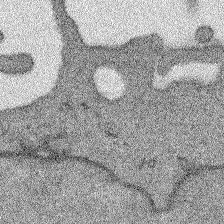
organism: Human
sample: HeLa cells